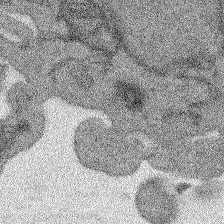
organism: Human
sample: HeLa cells